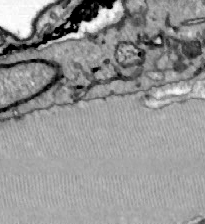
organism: Zebrafish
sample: Actinotrichia fibers